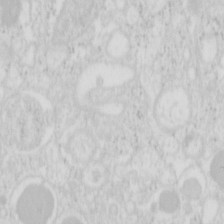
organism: Mouse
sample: Pancreas